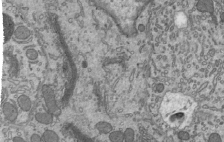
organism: Mouse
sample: Mouse epididymis efferent ductule cilia